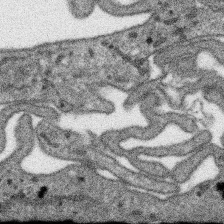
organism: Human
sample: Lung epithelial cells infected with SARS-CoV-2